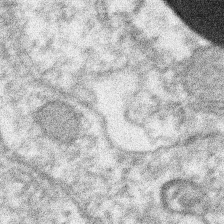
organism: Xenopus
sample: Cilia; centrioles in frog embryo cells